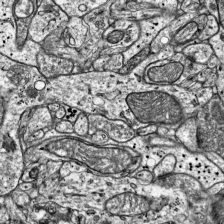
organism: Mouse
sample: Visual Cortex